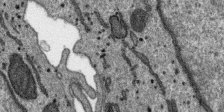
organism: Human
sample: Lung epithelial cells, uninfected (mock) control